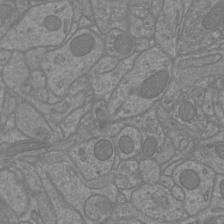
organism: Mouse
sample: Cortical neurons